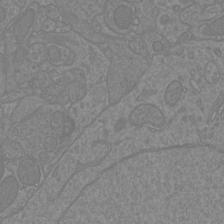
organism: Mouse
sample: Cortical neurons